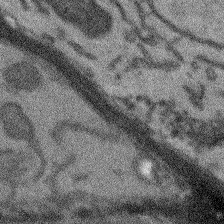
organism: Arabidopsis thaliana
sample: Root tip